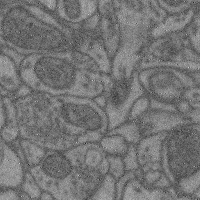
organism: Mouse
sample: Cerebral cortex